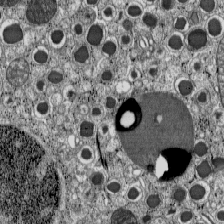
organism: C57BL Mouse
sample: Pancreatic islet